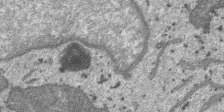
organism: Human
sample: Lung epithelial cells infected with SARS-CoV-2